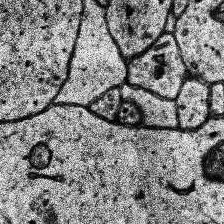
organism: Human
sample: Temporal Lobe